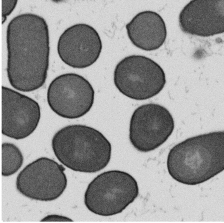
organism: B. subtilis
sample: Bacterial spore